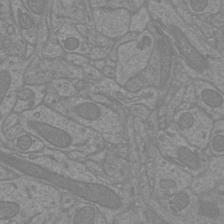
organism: Mouse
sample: Cortical neurons